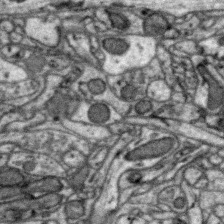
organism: Zebra finch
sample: Brain